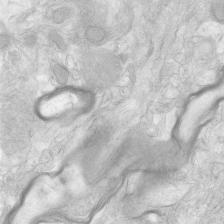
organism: Human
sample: Neocortex